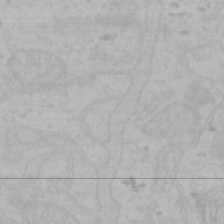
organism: Mouse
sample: Choroid plexus